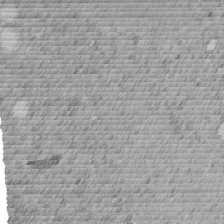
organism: C. elegans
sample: C. elegans embryo early stage